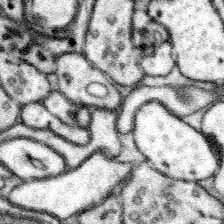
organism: Mouse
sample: Somatosensory cortex neuropil